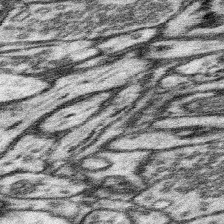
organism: Mouse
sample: Somatosensory cortex neuropil